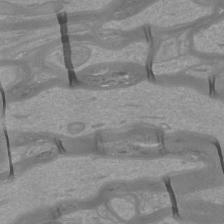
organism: Mouse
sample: Cortical neurons